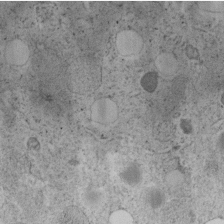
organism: C. elegans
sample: C. elegans embryo early stage